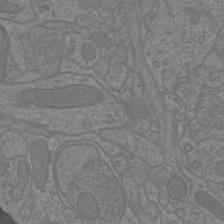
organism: Mouse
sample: Cortical neurons